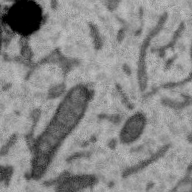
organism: Zebra finch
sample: Brain